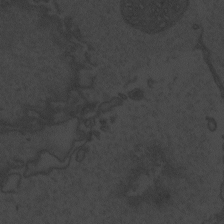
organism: Zebrafish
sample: Macrophage infected with Toxoplasma gondii